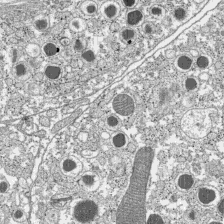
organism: C57BL Mouse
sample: Pancreatic islet